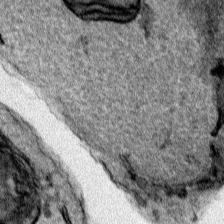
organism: Human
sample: Mitochondria in HCT116 cells